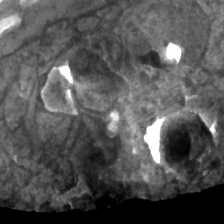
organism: Human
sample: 1205lu cells